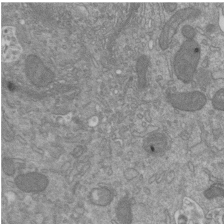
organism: Mouse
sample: ED-1 cell nuclei; centrioles